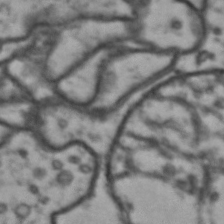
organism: Drosophila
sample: Brain